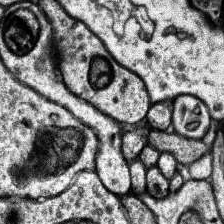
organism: Human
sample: Temporal Lobe